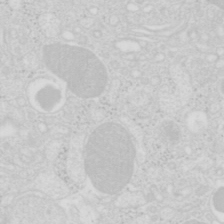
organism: Mouse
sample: Pancreas